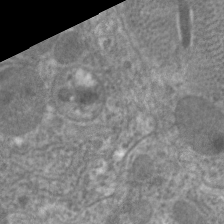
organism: C. elegans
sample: Pharynx